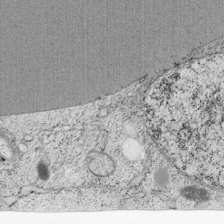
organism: African green monkey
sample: COS-7 cells